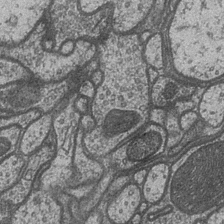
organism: Drosophila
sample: Optic medulla